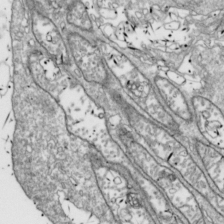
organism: Drosophila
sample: Cell division; meiosis; drosophila spermatocytes